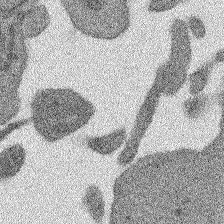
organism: Human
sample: HeLa cells